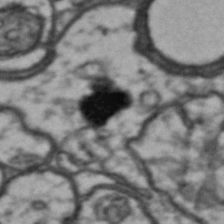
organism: Drosophila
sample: Brain